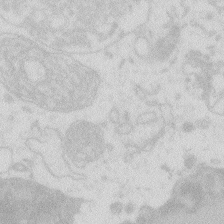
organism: Zebrafish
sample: Macrophage